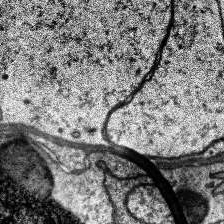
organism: Human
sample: Temporal Lobe